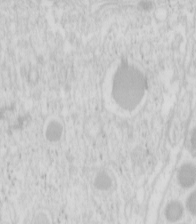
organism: Mouse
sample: Pancreas